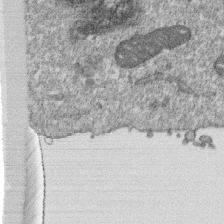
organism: African green monkey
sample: Vero E6 cells infected with SARS-CoV-2